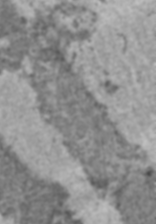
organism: C57BL Mouse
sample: Heart